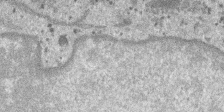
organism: Human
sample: Lung epithelial cells infected with SARS-CoV-2